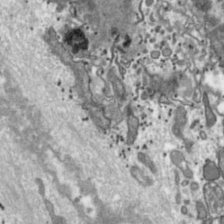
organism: Toxoplasma gondii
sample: Parasites in a vacuole inside a host cell